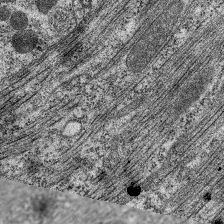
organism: C. elegans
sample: Pharynx